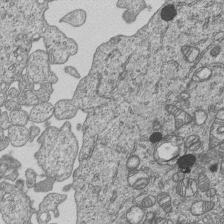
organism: Human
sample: MDA-MB-231 cells